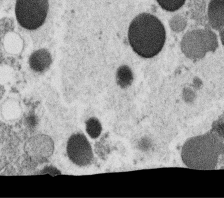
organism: C. elegans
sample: C. elegans oocyte; sperm cells